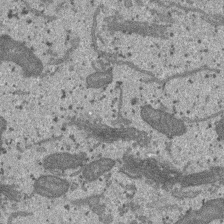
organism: Human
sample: Lung epithelial cells infected with SARS-CoV-2